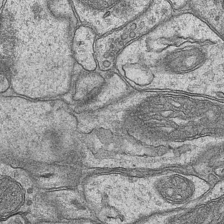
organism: Mouse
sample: CA1 Hippocampus